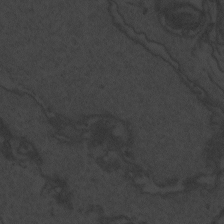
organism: Zebrafish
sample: Macrophage infected with Toxoplasma gondii